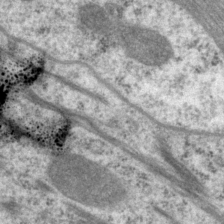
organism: P. pacificus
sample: Pharynx